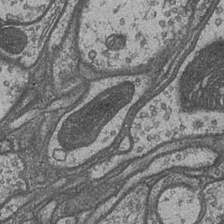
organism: Drosophila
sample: Optic medulla